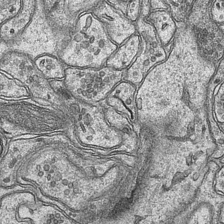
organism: Mouse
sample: CA1 Hippocampus